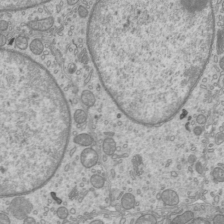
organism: Mouse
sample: Cilia; mouse epididymis